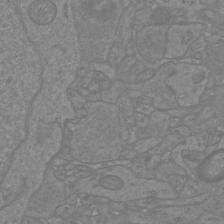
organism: Mouse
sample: Cortical neurons